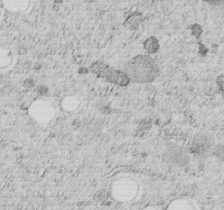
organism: C. elegans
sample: C. elegans embryo early stage